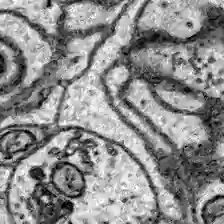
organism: Zebrafish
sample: Brain